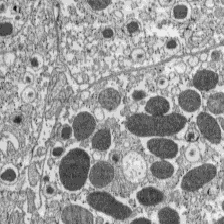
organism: C57BL Mouse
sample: Pancreatic islet